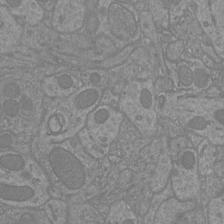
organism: Mouse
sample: Cortical neurons